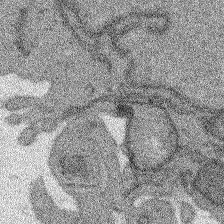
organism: Human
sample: HeLa cells